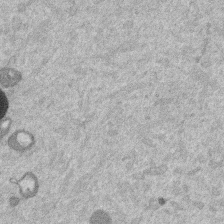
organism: Mouse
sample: Dividing mouse embryo 1 cell stage